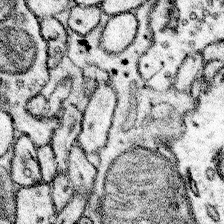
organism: Mouse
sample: Somatosensory cortex neuropil